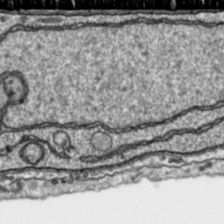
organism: Toxoplasma gondii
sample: Parasites in a vacuole inside a host cell